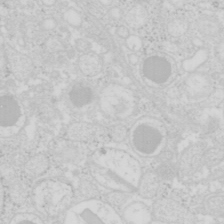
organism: Mouse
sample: Pancreas